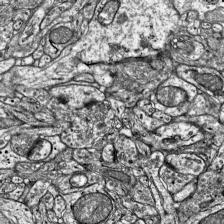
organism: Mouse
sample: Visual Cortex